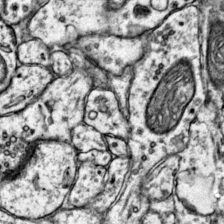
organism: Mouse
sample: Primary visual cortex